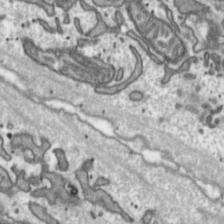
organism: Toxoplasma gondii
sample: Parasites in a vacuole inside a host cell